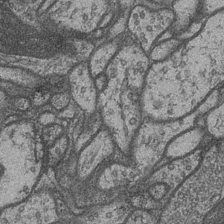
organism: Drosophila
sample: Optic medulla